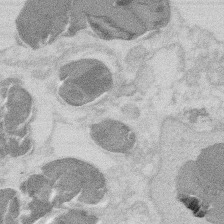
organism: Mouse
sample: T cell stromal cell synapse